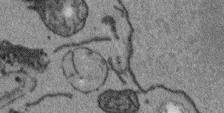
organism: Arabidopsis thaliana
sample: Root tip